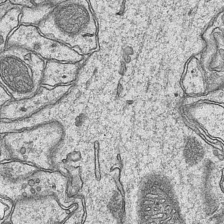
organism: Mouse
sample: CA1 Hippocampus